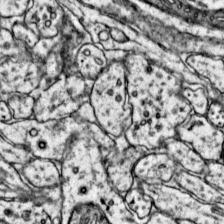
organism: Mouse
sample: Primary visual cortex